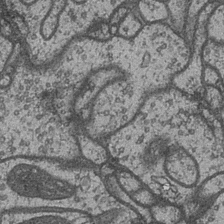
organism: Drosophila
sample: Optic medulla